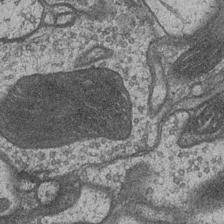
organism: Drosophila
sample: Optic medulla